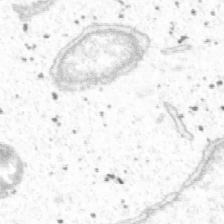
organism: Human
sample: HeLa cells